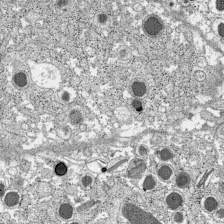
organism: C57BL Mouse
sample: Pancreatic islet